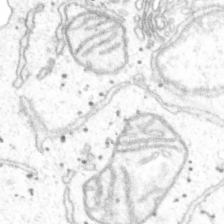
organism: Human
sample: HeLa cells